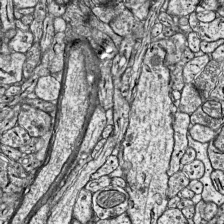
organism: Mouse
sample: Visual Cortex